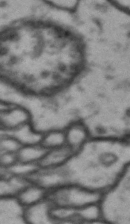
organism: Drosophila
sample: Brain